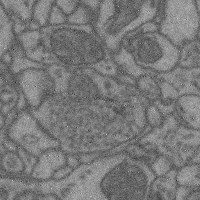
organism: Mouse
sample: Cerebral cortex